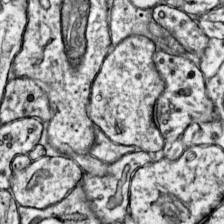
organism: Mouse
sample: Primary visual cortex